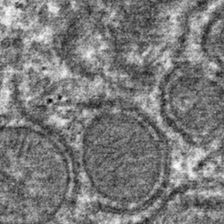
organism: Mouse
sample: Mouse hepatocytes